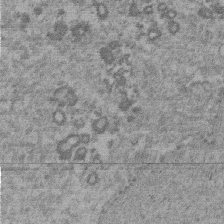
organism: Mouse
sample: Dividing mouse embryo 1 cell stage